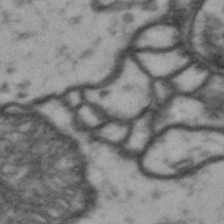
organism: Drosophila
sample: Brain